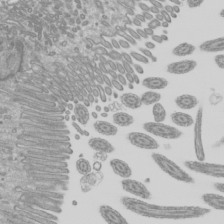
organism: Mouse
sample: Cilia; mouse epididymis